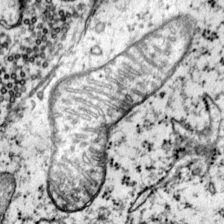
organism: Mouse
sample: Primary visual cortex